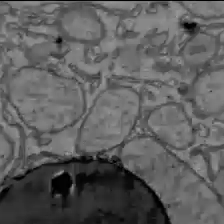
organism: C57BL Mouse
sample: Liver